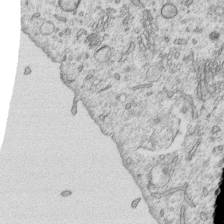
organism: Human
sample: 1205lu cells